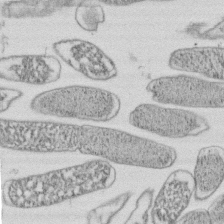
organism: E. coli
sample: Bacterial nucleoid